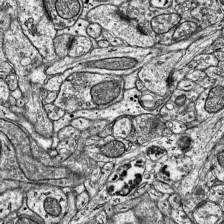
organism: Mouse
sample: Visual Cortex